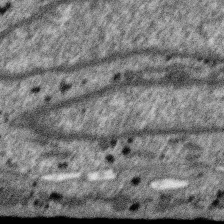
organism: Human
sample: Lung epithelial cells infected with SARS-CoV-2